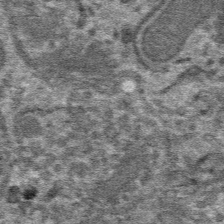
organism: Mouse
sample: Mouse hepatocytes